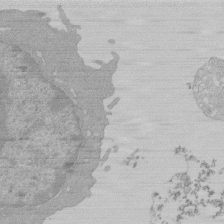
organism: Mouse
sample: Activated Pmel transgenic CD8+ T Cells